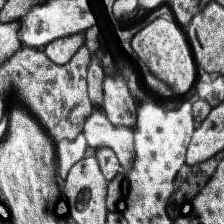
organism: Human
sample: Temporal Lobe